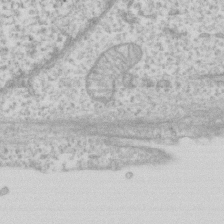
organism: Human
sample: Fibroblast cells